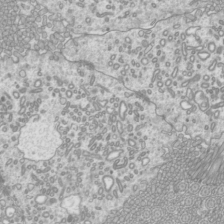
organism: Mouse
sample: Cilia; mouse epididymis